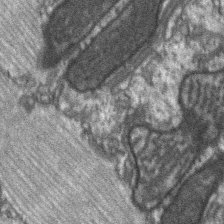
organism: C57BL Mouse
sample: Soleus